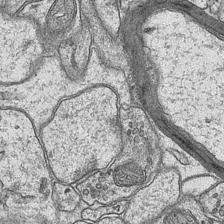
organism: Mouse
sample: CA1 Hippocampus